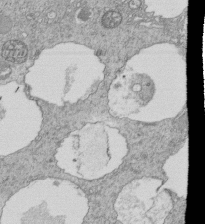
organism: Tetrahymena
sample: Cilia in tetrahymena